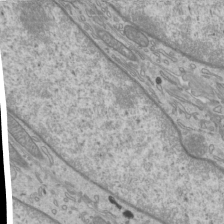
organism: Mouse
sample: Cilia; mouse epididymis